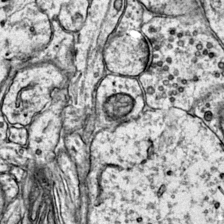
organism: Mouse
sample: Primary visual cortex